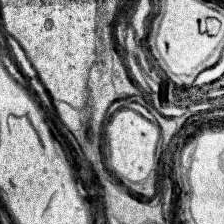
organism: Human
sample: Temporal Lobe